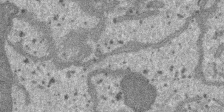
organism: Human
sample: Lung epithelial cells infected with SARS-CoV-2